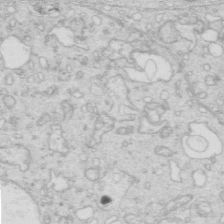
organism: Mouse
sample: Multiciliated cells